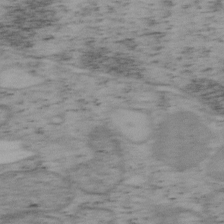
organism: Mouse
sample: OT-I killer T cells with ID8 ovarian cancer cells